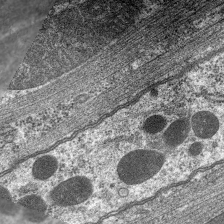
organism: C. elegans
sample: Pharynx